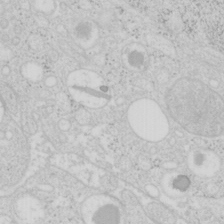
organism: Mouse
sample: Pancreas